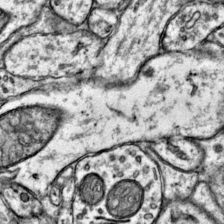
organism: Mouse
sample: Primary visual cortex